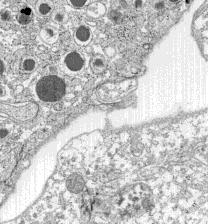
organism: C57BL Mouse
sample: Pancreatic islet